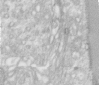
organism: Human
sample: Centriole in RPE cells